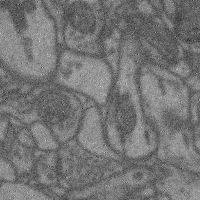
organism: Mouse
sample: Cerebral cortex